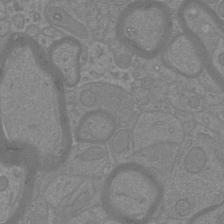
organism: Mouse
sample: Cortical neurons